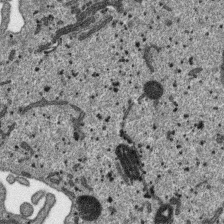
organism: Human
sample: Lung epithelial cells infected with SARS-CoV-2